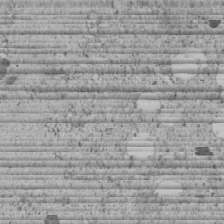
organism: C. elegans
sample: C. elegans embryo early stage